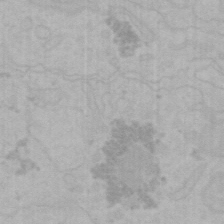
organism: Mouse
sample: Choroid plexus